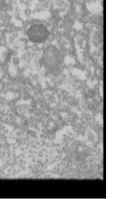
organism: Drosophila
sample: Cell division; meiosis; drosophila spermatocytes